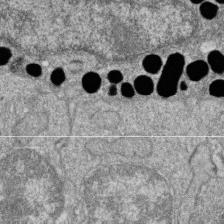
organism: Zebrafish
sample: Cilia; retinal pigment epithelium